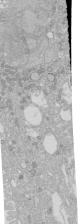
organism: Human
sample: Caco-2 cells